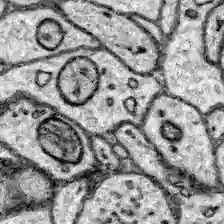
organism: Zebrafish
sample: Brain